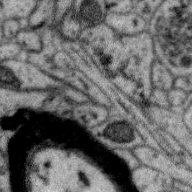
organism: Zebra finch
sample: Brain